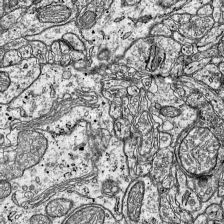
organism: Mouse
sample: Visual Cortex